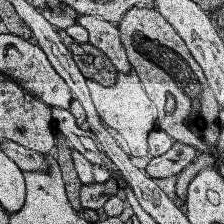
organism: Human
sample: Temporal Lobe